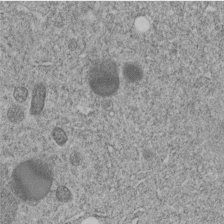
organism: C. elegans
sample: C. elegans embryo early stage